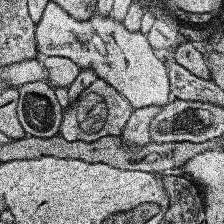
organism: Human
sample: Temporal Lobe